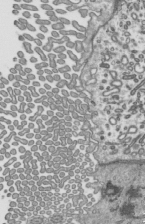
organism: Mouse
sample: Mouse epididymis efferent ductule cilia